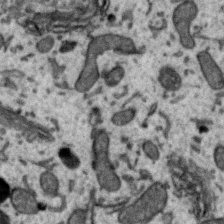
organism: Zebra finch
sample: Brain